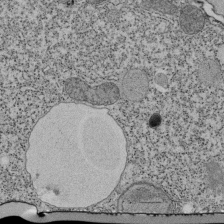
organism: Tetrahymena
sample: Cilia in tetrahymena